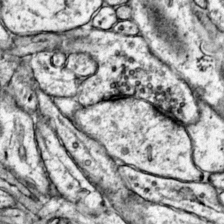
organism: Mouse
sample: Primary visual cortex